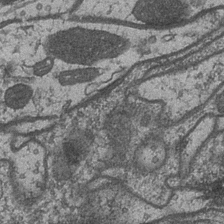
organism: Drosophila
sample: Optic medulla